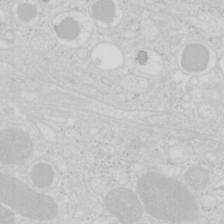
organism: Mouse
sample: Pancreas